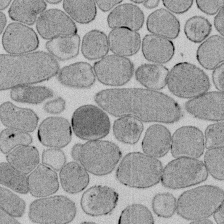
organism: E. coli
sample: Bacterial nucleoid